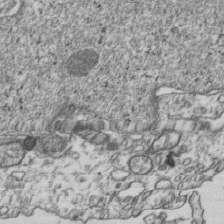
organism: Human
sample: Activated Jurkat CD4+ T cells